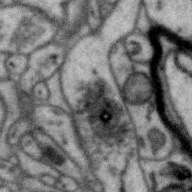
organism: Zebra finch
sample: Brain